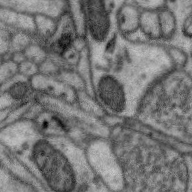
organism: Zebra finch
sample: Brain